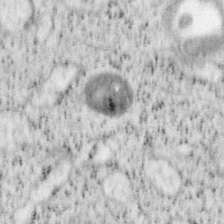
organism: Mouse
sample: OT-I killer T cells with ID8 ovarian cancer cells